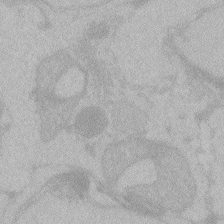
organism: Zebrafish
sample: Macrophage infected with Toxoplasma gondii